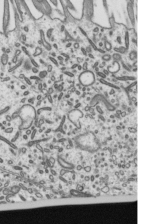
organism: Mouse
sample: Mouse epididymis efferent ductule cilia